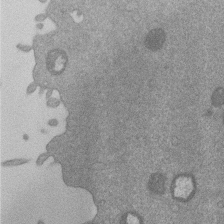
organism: Mouse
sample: Dividing mouse embryo 1 cell stage